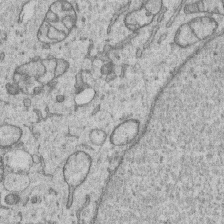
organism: Human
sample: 1205lu cells